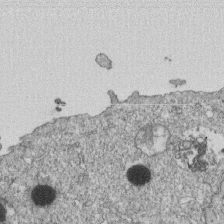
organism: Human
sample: HeLa cell HIV synapse